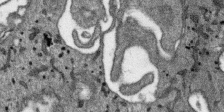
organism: Human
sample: Lung epithelial cells, uninfected (mock) control